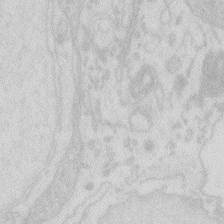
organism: Zebrafish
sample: Macrophage